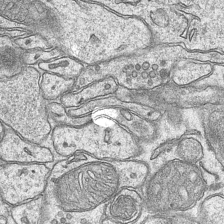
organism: Mouse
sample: CA1 Hippocampus